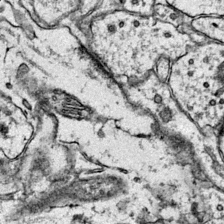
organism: Mouse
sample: Primary visual cortex